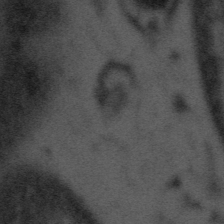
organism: Tuwongella immobilis